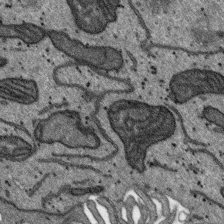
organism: Human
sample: Lung epithelial cells, uninfected (mock) control